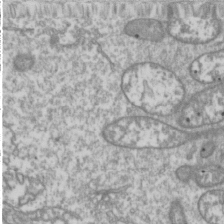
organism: Drosophila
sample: Cell division; meiosis; drosophila spermatocytes